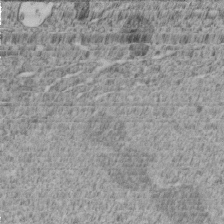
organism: C. elegans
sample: C. elegans embryo early stage